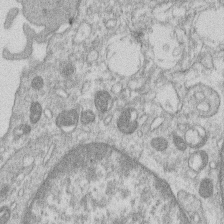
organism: Human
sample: Macrophage cells